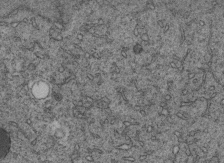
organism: C. elegans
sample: C. elegans embryo early stage